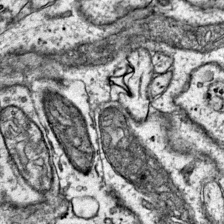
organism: Mouse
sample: Primary visual cortex